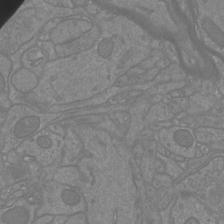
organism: Mouse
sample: Cortical neurons